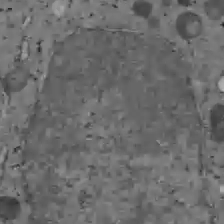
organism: C57BL Mouse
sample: Liver